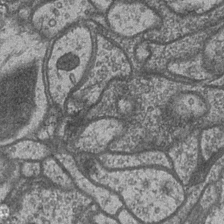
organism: Drosophila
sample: Optic medulla